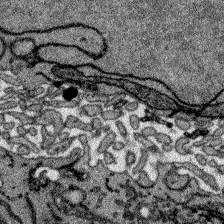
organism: Zebrafish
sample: Larval olfactory bulb